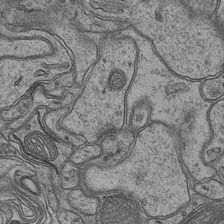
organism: Mouse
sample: CA1 Hippocampus